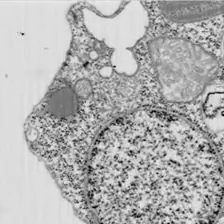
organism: Chlamydomonas reinhardtii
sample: Whole Cell